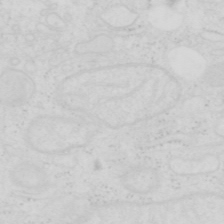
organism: Human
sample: SUM-159 cell